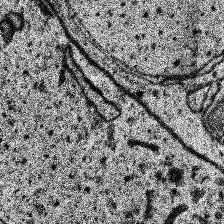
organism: Human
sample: Temporal Lobe